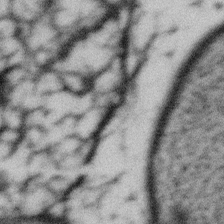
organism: Gemmata obscuriglobus